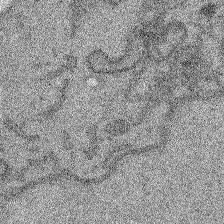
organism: Human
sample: HeLa cells